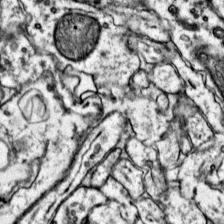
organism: Mouse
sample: Primary visual cortex